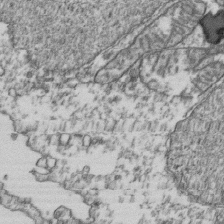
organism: Human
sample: Activated Jurkat CD4+ T cells